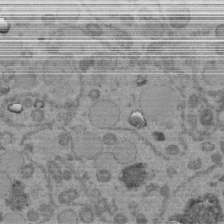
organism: C. elegans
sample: C. elegans embryo early stage